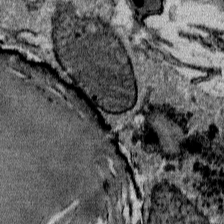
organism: Mouse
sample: Mouse Salivary gland